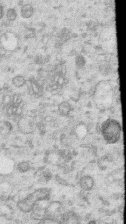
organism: Human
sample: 1205lu cells